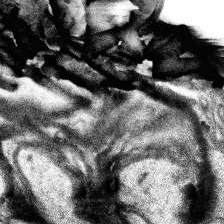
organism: Human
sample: Temporal Lobe